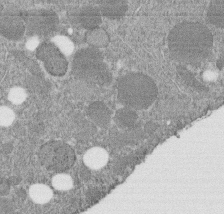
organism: C. elegans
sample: C. elegans embryo early stage